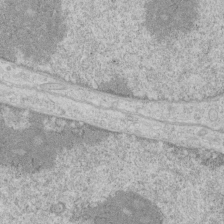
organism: Human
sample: Mitochondria in HCT116 cells